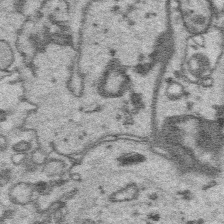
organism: Platynereis dumerilii